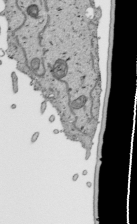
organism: Human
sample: Mitochondria in HCT116 cells